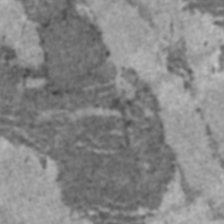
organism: C57BL Mouse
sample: Heart